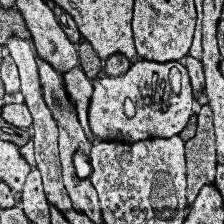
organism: Human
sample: Temporal Lobe